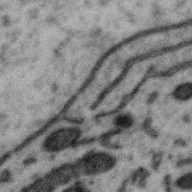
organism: Zebra finch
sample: Brain